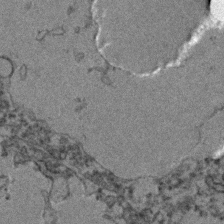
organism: Zebrafish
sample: Zebrafish embryo